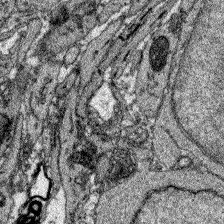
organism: Zebrafish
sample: Larval olfactory bulb